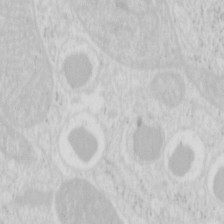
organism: Mouse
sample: Pancreas